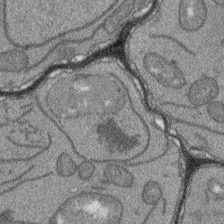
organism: Arabidopsis thaliana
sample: Root tip